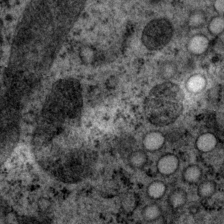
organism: P. pacificus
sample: Pharynx